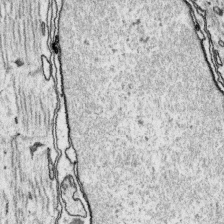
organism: Platynereis dumerilii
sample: Parapodia